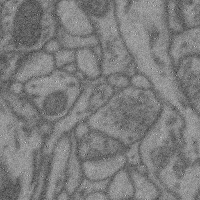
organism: Mouse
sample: Cerebral cortex